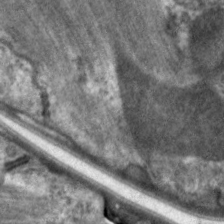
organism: C. elegans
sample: Pharynx